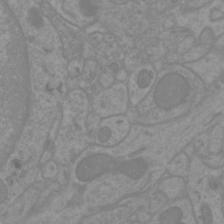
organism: Mouse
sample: Cortical neurons